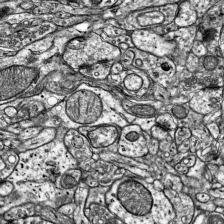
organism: Mouse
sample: Visual Cortex